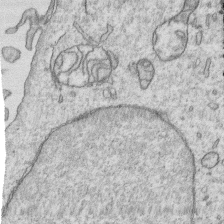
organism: Human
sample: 1205lu cells